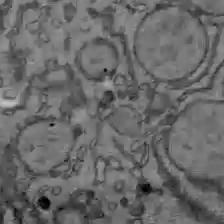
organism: C57BL Mouse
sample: Liver